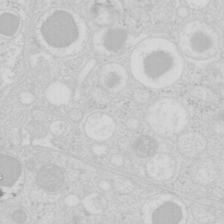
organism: Mouse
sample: Pancreas